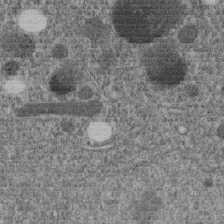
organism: C. elegans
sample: C. elegans embryo early stage